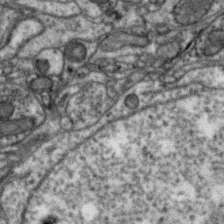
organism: Zebra finch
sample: Brain